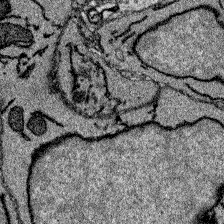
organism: Zebrafish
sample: Larval olfactory bulb